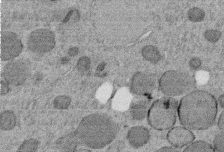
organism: C. elegans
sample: C. elegans embryo early stage